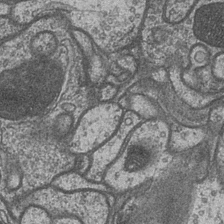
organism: Drosophila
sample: Optic medulla